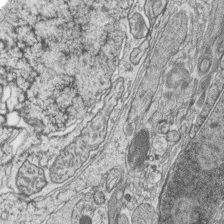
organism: Zebrafish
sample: synaptic ribbons in rod cells and cone cells